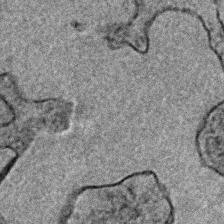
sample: Trachea